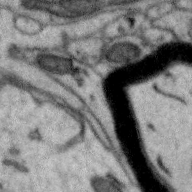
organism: Zebra finch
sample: Brain